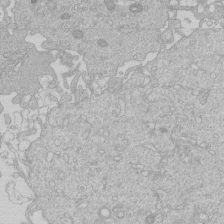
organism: Human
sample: Macrophage cells